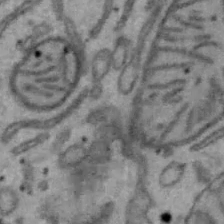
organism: Mouse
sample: Liver